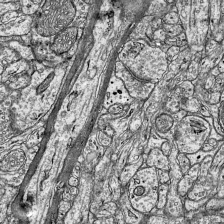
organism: Mouse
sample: Visual Cortex